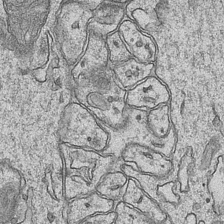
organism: Mouse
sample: CA1 Hippocampus